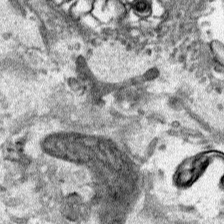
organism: Human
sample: Mitochondria in HCT116 cells